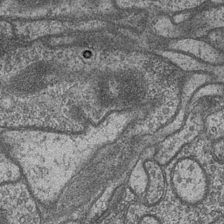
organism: Drosophila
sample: Optic medulla